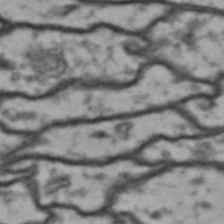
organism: Drosophila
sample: Brain